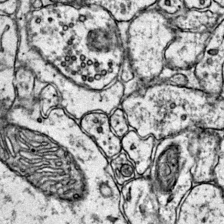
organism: Mouse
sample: Primary visual cortex